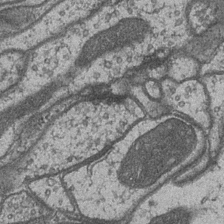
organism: Drosophila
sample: Optic medulla